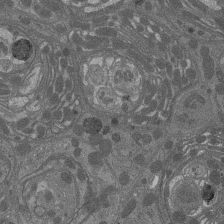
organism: Drosophila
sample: Antenna